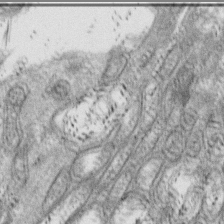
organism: Drosophila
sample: Cell division; meiosis; drosophila spermatocytes